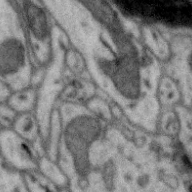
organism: Zebra finch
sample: Brain